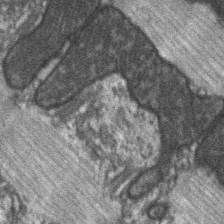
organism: C57BL Mouse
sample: Soleus